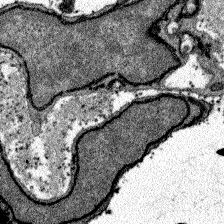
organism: Zebrafish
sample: Larval olfactory bulb